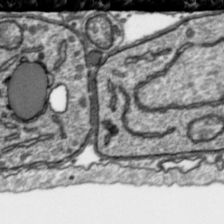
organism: Toxoplasma gondii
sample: Parasites in a vacuole inside a host cell